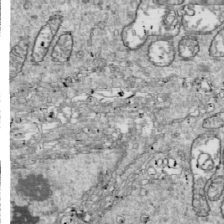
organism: Drosophila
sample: Cell division; meiosis; drosophila spermatocytes